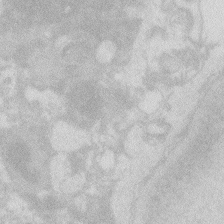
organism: Zebrafish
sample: Macrophage